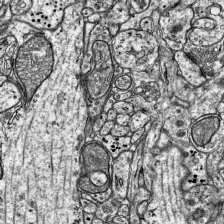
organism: Mouse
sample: Visual Cortex